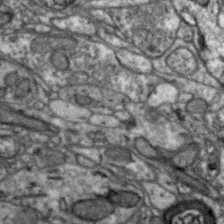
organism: Zebra finch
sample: Brain